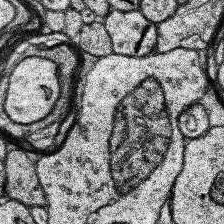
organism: Human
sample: Temporal Lobe